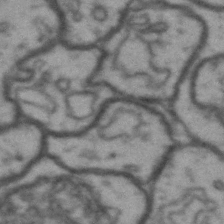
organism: Drosophila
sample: Brain